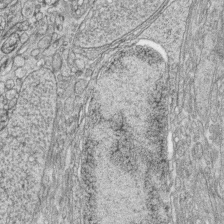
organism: Zebrafish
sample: synaptic ribbons in rod cells and cone cells